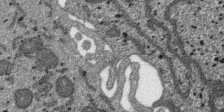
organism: Human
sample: Lung epithelial cells infected with SARS-CoV-2